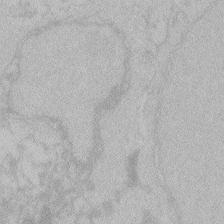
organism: Zebrafish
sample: Macrophage infected with Toxoplasma gondii